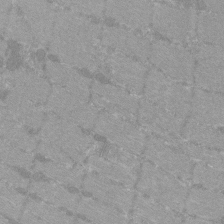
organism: C57BL Mouse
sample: Tibialis anterior muscle cell